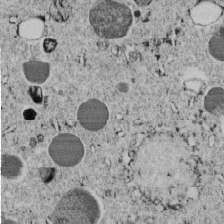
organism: C. elegans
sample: C. elegans embryo early stage